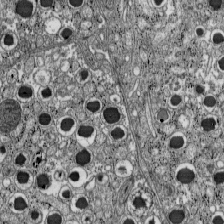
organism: C57BL Mouse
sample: Pancreatic islet